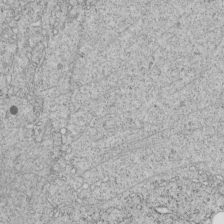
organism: C. elegans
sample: C. elegans embryo early stage